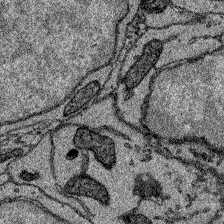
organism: Zebrafish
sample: Larval olfactory bulb